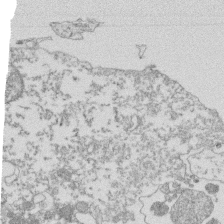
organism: Human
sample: HeLa cell HIV synapse